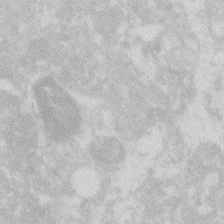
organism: Zebrafish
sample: Macrophage